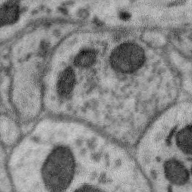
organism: Zebra finch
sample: Brain